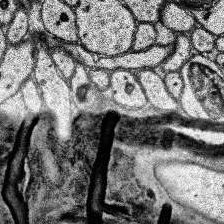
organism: Human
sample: Temporal Lobe